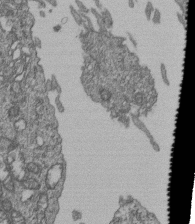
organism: Human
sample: Retinal organoid Rod and Cone cells